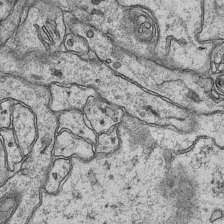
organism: Mouse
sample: CA1 Hippocampus